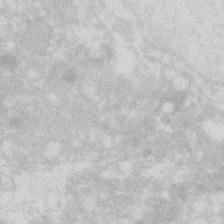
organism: Zebrafish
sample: Macrophage